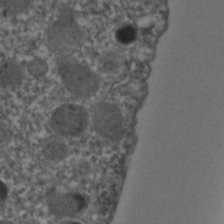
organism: C. elegans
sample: C. elegans embryo